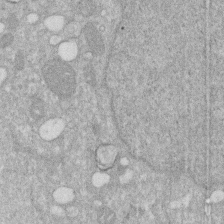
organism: Human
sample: HIV infected U937 cells